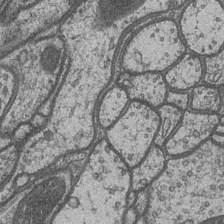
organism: Drosophila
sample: Optic medulla